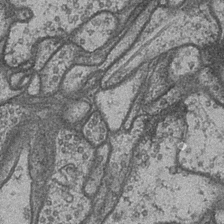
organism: Drosophila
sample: Optic medulla